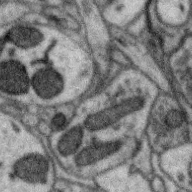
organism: Zebra finch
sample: Brain